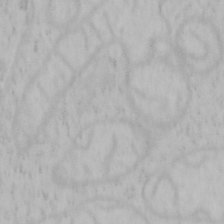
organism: Human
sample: HeLa cells